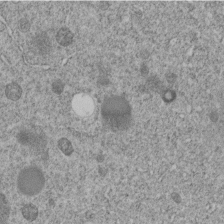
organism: C. elegans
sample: C. elegans embryo early stage